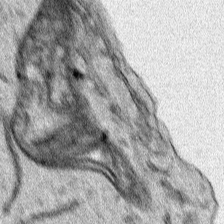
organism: Human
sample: Mitochondria in HCT116 cells